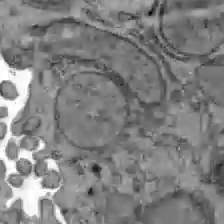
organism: C57BL Mouse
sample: Liver